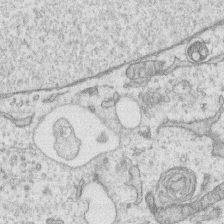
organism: Human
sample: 1205lu cells